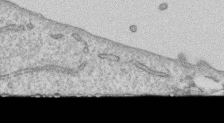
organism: Human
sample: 1205lu cells